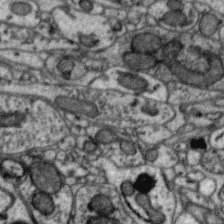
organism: Zebra finch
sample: Brain